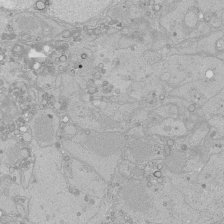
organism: Human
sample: Caco-2 cells